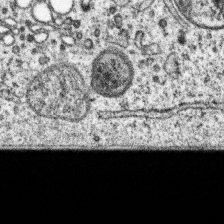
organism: Human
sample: HeLa cells